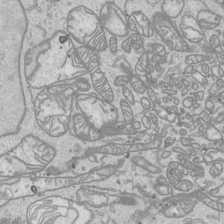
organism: Human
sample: Mitochondria in HCT116 cells